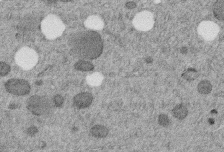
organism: C. elegans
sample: C. elegans embryo early stage